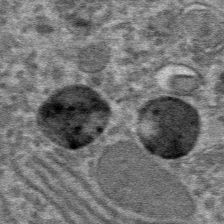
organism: Mouse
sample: Mouse hepatocytes